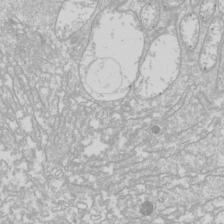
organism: Drosophila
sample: Cell division; meiosis; drosophila spermatocytes